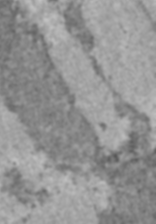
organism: C57BL Mouse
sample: Heart